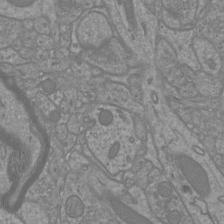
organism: Mouse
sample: Cortical neurons